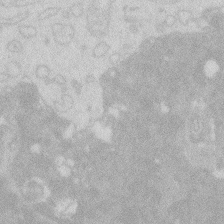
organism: Zebrafish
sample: Macrophage